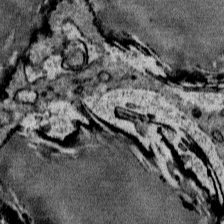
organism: Mouse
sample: Mouse Salivary gland